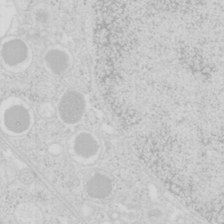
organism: Mouse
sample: Pancreas